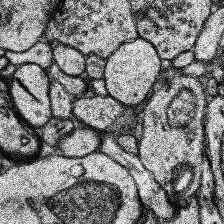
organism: Human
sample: Temporal Lobe